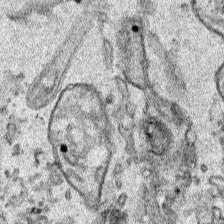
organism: Human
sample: Mitochondria in HCT116 cells